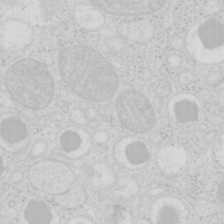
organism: Mouse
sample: Pancreas